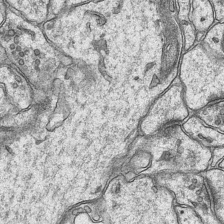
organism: Mouse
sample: CA1 Hippocampus